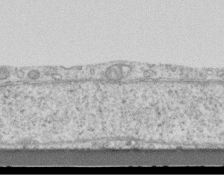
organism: Mouse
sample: Centriole in ependymal cells